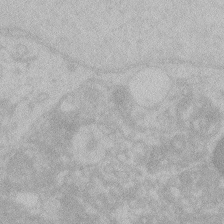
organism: Zebrafish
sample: Macrophage infected with Toxoplasma gondii